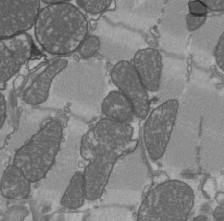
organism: C57BL Mouse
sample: Heart